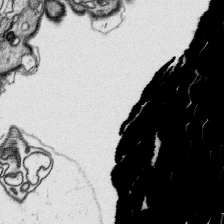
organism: Platynereis dumerilii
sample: Parapodia